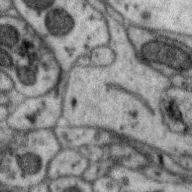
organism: Zebra finch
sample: Brain